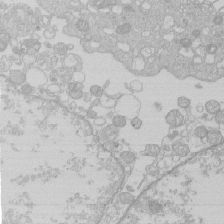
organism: Human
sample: Macrophage cells